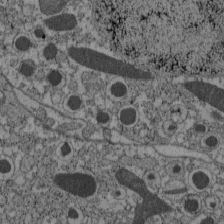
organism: C57BL Mouse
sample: Pancreatic islet